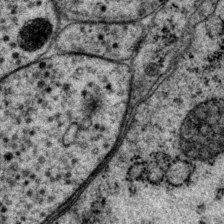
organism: P. pacificus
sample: Pharynx